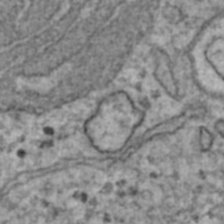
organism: Human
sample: Blood